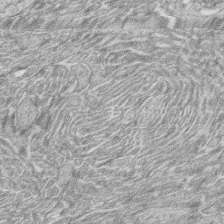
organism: Zebrafish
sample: synaptic ribbons in rod cells and cone cells